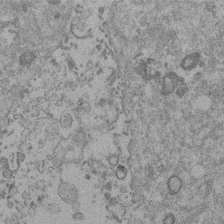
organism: Mouse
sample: Dividing mouse embryo 1 cell stage